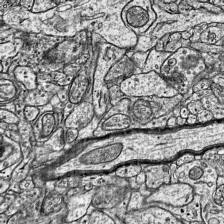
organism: Mouse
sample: Visual Cortex